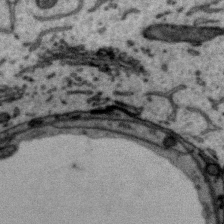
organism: Zebra finch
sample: Brain